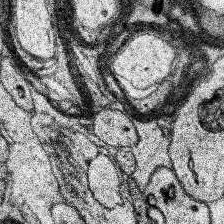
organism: Human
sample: Temporal Lobe